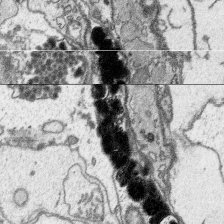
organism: Platynereis dumerilii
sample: Parapodia